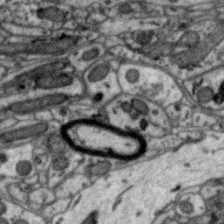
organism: Zebra finch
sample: Brain